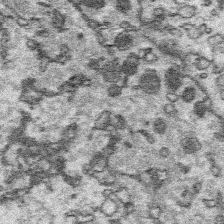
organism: Platynereis dumerilii